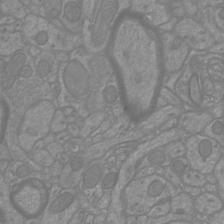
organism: Mouse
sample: Cortical neurons